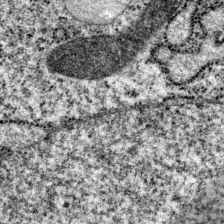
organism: P. pacificus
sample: Pharynx